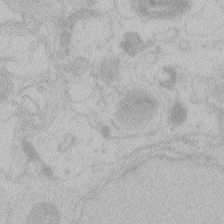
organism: Zebrafish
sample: Macrophage infected with Toxoplasma gondii